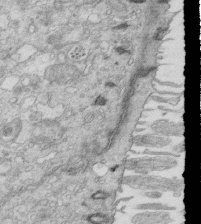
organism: Mouse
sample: Multiciliated cells